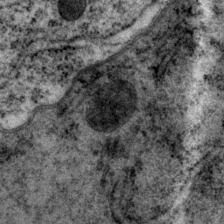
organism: P. pacificus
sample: Pharynx